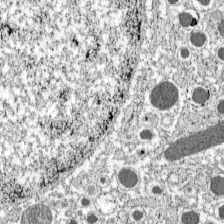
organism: C57BL Mouse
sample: Pancreatic islet